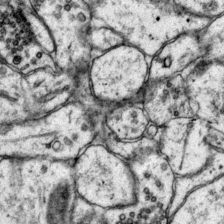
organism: Mouse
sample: Primary visual cortex